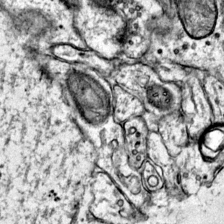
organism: Mouse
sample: Primary visual cortex